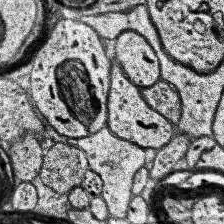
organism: Human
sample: Temporal Lobe